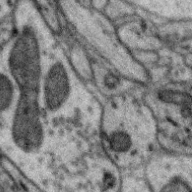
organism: Zebra finch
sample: Brain